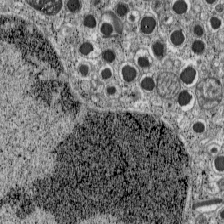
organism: C57BL Mouse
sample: Pancreatic islet